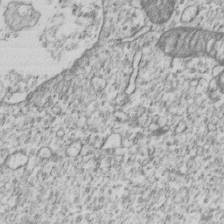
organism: Human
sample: MDA-MB-231 cells